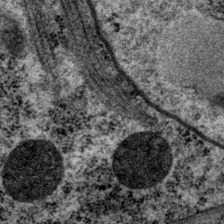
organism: P. pacificus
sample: Pharynx